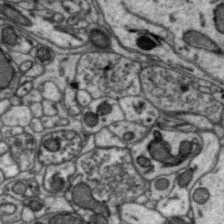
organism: Zebra finch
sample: Brain